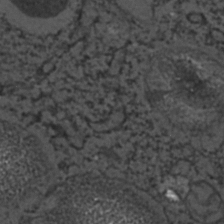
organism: C. elegans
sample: C. elegans embryo